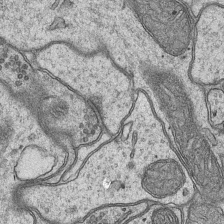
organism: Mouse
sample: CA1 Hippocampus